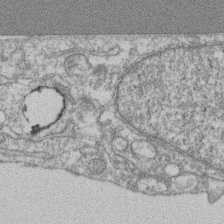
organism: Mouse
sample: T cell stromal cell synapse